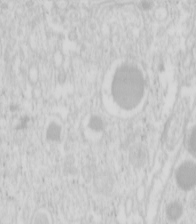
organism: Mouse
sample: Pancreas